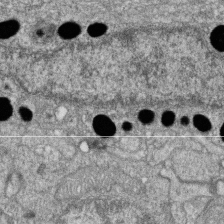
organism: Zebrafish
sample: Cilia; retinal pigment epithelium